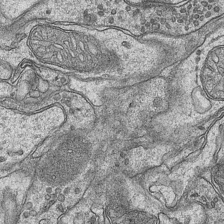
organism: Mouse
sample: CA1 Hippocampus